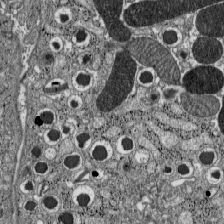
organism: C57BL Mouse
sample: Pancreatic islet